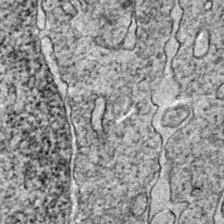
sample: Trachea